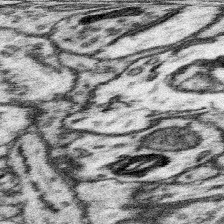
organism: Mouse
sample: Somatosensory cortex neuropil